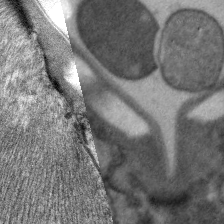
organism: C. elegans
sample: Pharynx